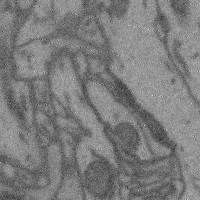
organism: Mouse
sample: Cerebral cortex